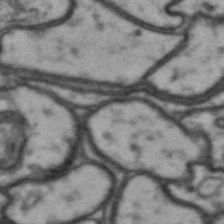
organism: Drosophila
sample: Brain